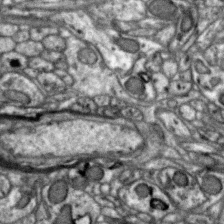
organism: Zebra finch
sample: Brain